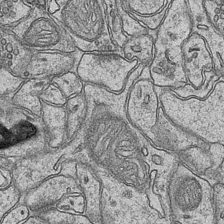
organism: Mouse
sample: CA1 Hippocampus